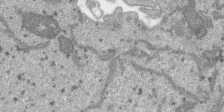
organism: Human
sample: Lung epithelial cells infected with SARS-CoV-2